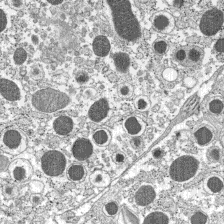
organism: C57BL Mouse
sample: Pancreatic islet